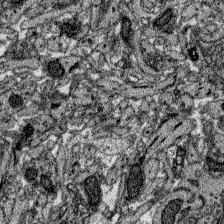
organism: Zebrafish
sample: Larval olfactory bulb